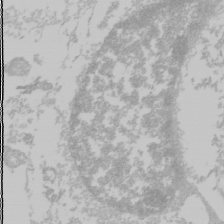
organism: Mouse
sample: Cancer cell death in ED-1 cells